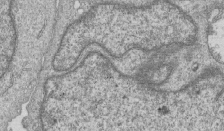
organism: Human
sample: MDA-MB-231 cells